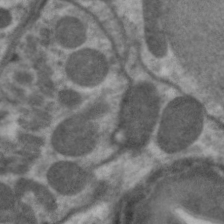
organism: C. elegans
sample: Pharynx